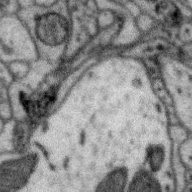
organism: Zebra finch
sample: Brain